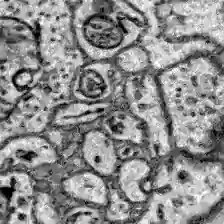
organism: Zebrafish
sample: Brain